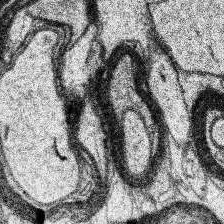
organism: Human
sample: Temporal Lobe